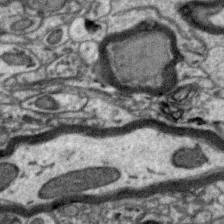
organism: Zebra finch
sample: Brain